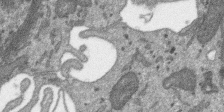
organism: Human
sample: Lung epithelial cells infected with SARS-CoV-2